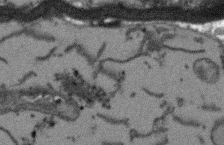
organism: Arabidopsis thaliana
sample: Root tip